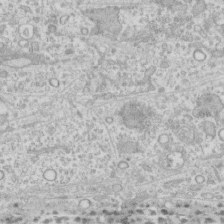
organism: Human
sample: CRL-1474